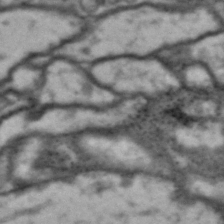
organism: Drosophila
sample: Brain